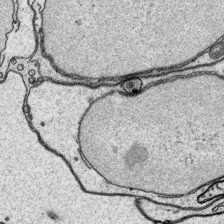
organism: Platynereis dumerilii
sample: Parapodia